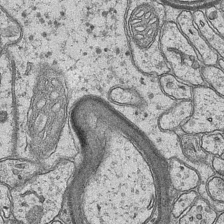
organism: Mouse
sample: CA1 Hippocampus